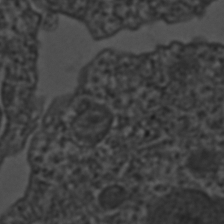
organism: C. elegans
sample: C. elegans embryo